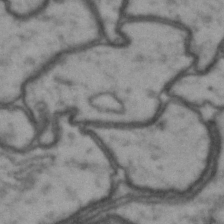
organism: Drosophila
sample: Brain